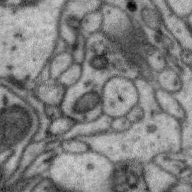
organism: Zebra finch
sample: Brain